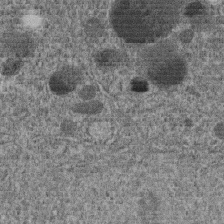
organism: C. elegans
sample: C. elegans embryo early stage